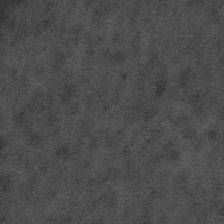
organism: Tuwongella immobilis